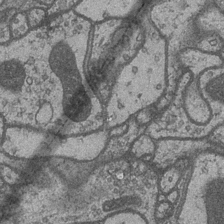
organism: Drosophila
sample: Optic medulla